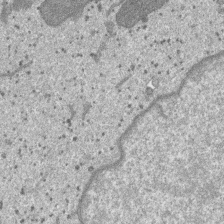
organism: Human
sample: Lung epithelial cells infected with SARS-CoV-2